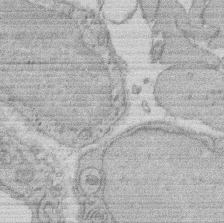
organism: Rat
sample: Salivary granule